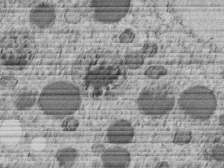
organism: C. elegans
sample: C. elegans embryo early stage